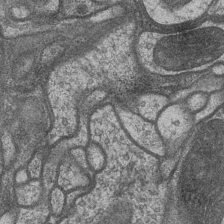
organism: Drosophila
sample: Optic medulla